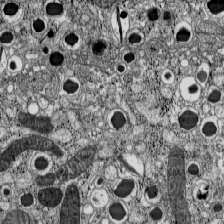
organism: C57BL Mouse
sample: Pancreatic islet